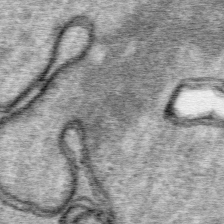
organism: Human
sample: HeLa cells